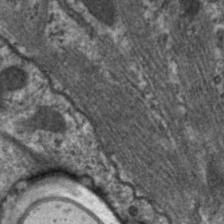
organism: C. elegans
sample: Pharynx